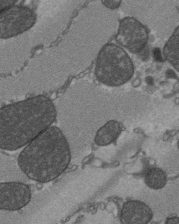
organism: C57BL Mouse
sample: Heart